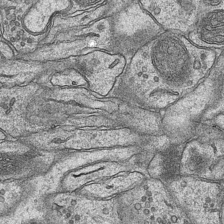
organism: Mouse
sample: CA1 Hippocampus